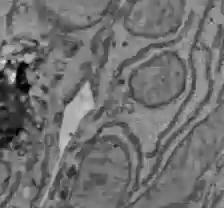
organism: C57BL Mouse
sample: Liver